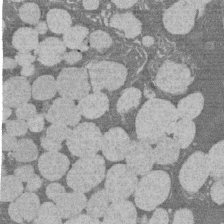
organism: Rat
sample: Salivary granule